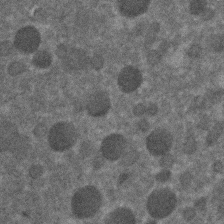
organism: C. elegans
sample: C. elegans embryo